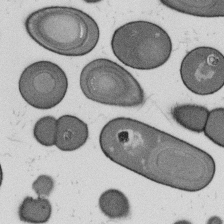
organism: B. subtilis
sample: Bacterial spore